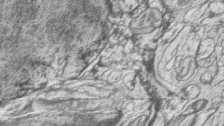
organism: Zebrafish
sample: synaptic ribbons in rod cells and cone cells